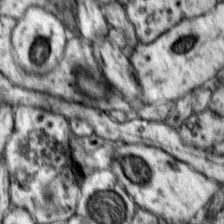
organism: Mouse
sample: Primary visual cortex